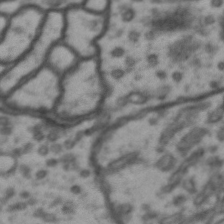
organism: Drosophila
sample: Brain